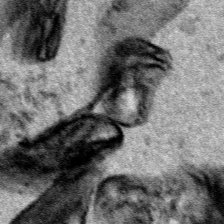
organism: Human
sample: Mitochondria in HCT116 cells